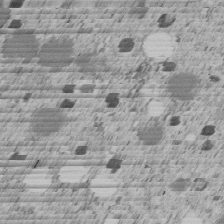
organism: C. elegans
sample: C. elegans embryo early stage